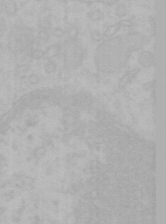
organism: Mouse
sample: Choroid plexus